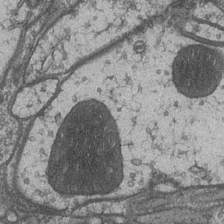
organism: Drosophila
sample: Optic medulla